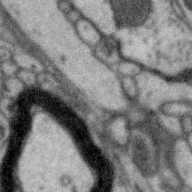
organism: Zebra finch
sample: Brain